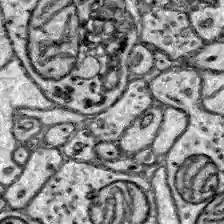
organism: Zebrafish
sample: Brain